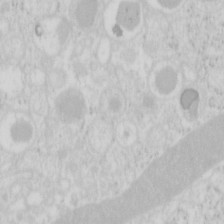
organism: Mouse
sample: Pancreas